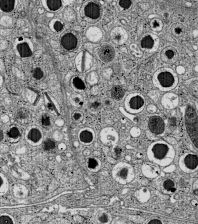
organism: C57BL Mouse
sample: Pancreatic islet